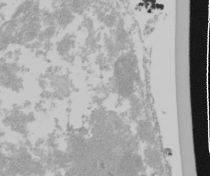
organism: Mouse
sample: Cancer cell death in ED-1 cells